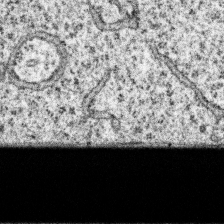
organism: Human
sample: HeLa cells